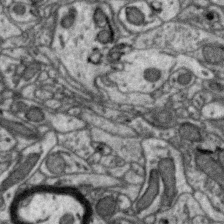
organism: Zebra finch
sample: Brain